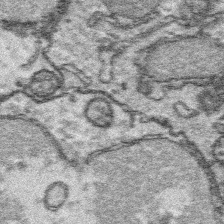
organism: Platynereis dumerilii